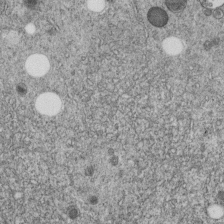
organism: C. elegans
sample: C. elegans embryo early stage